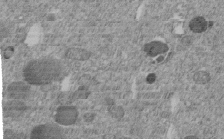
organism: C. elegans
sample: C. elegans embryo early stage